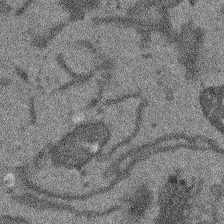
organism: Arabidopsis thaliana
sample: Root tip